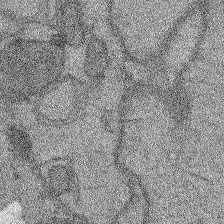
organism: Human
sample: HeLa cells